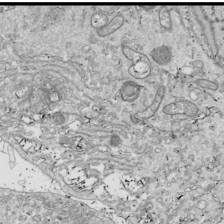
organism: Drosophila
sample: Cell division; meiosis; drosophila spermatocytes